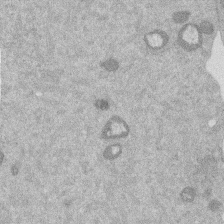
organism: Mouse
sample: Dividing mouse embryo 1 cell stage